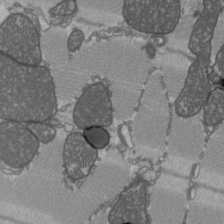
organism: C57BL Mouse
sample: Heart